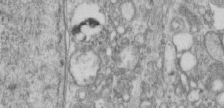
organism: Human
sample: Centriole in RPE cells